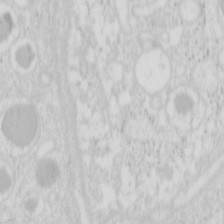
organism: Mouse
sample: Pancreas